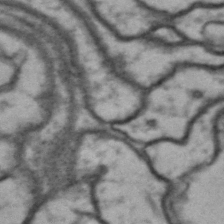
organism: Drosophila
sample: Brain